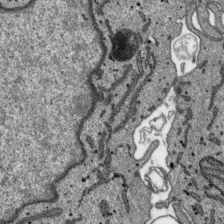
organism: Human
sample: Lung epithelial cells, uninfected (mock) control